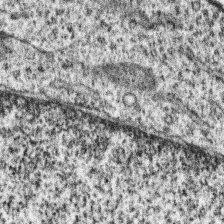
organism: Human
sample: HeLa cells